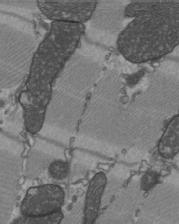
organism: C57BL Mouse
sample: Heart